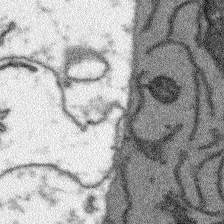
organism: Arabidopsis thaliana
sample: Root tip